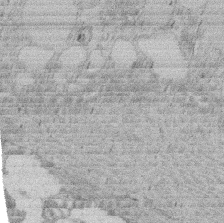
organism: Rat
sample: Salivary granule